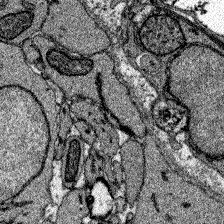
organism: Zebrafish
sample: Larval olfactory bulb